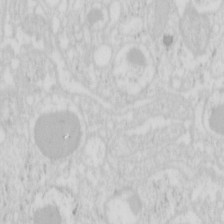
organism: Mouse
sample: Pancreas